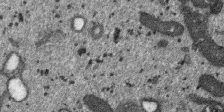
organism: Human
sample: Lung epithelial cells infected with SARS-CoV-2